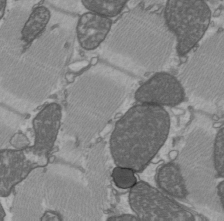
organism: C57BL Mouse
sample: Heart